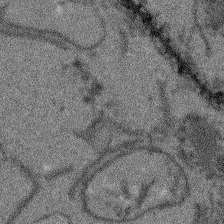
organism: Arabidopsis thaliana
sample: Root tip